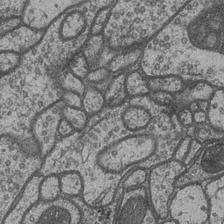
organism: Drosophila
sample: Optic medulla